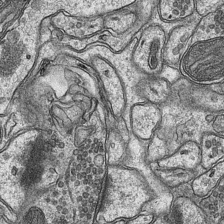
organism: Mouse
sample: CA1 Hippocampus